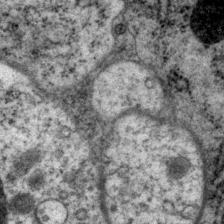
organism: P. pacificus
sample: Pharynx